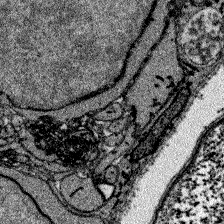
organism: Zebrafish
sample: Larval olfactory bulb